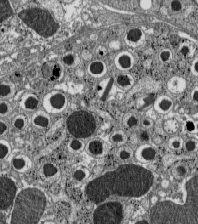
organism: C57BL Mouse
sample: Pancreatic islet